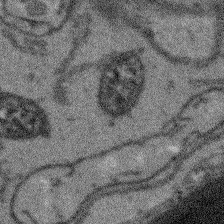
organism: Arabidopsis thaliana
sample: Root tip